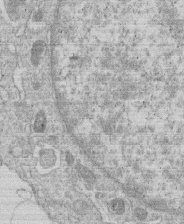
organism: Human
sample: Macrophage cells